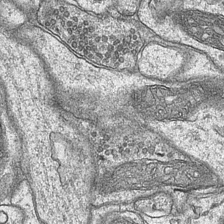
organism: Mouse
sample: CA1 Hippocampus